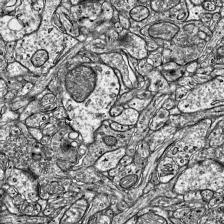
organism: Mouse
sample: Visual Cortex